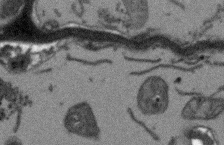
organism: Arabidopsis thaliana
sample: Root tip